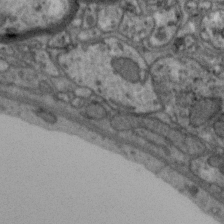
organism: Zebra finch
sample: Brain